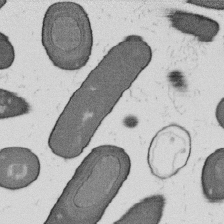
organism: B. subtilis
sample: Bacterial spore